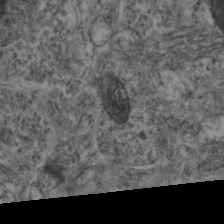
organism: Mouse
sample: Neocortex